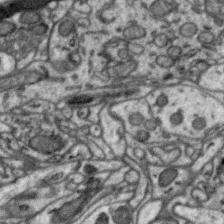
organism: Zebra finch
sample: Brain